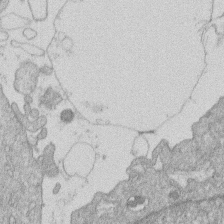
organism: Human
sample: Macrophage cells